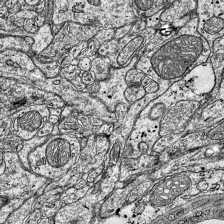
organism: Mouse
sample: Visual Cortex